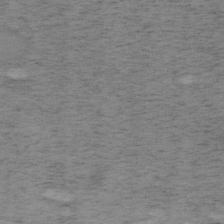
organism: Mouse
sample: OT-I killer T cells with ID8 ovarian cancer cells